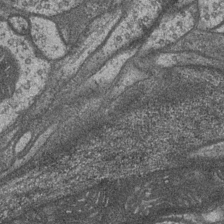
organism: Drosophila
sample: Optic medulla